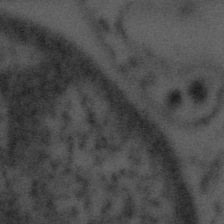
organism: Tuwongella immobilis